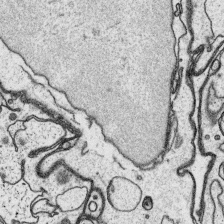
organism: Platynereis dumerilii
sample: Parapodia